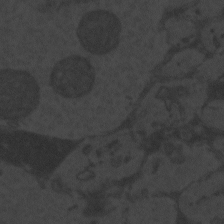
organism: Zebrafish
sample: Macrophage infected with Toxoplasma gondii